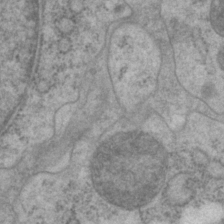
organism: P. pacificus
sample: Pharynx